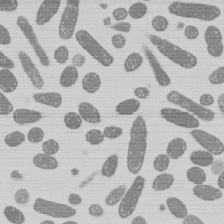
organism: E. coli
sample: Bacterial nucleoid